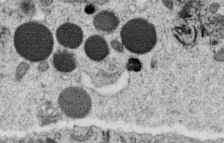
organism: C. elegans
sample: C. elegans oocyte; sperm cells